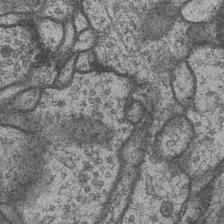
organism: Drosophila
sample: Optic medulla